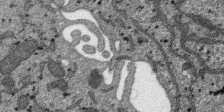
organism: Human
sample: Lung epithelial cells infected with SARS-CoV-2